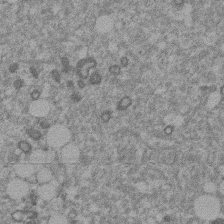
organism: Mouse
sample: Dividing mouse embryo 1 cell stage